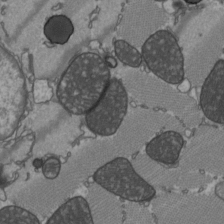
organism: C57BL Mouse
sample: Heart